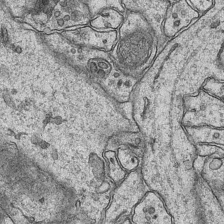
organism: Mouse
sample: CA1 Hippocampus